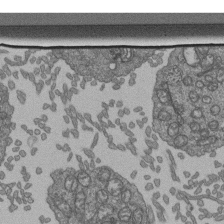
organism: Human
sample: Retinal organoid Rod and Cone cells